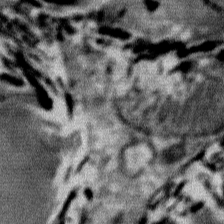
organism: Mouse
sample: Mouse Salivary gland